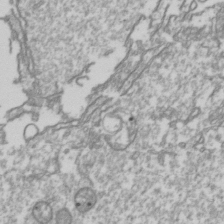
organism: Drosophila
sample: Cell division; meiosis; drosophila spermatocytes